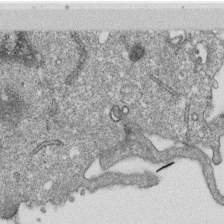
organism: African green monkey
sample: Vero E6 cells infected with SARS-CoV-2